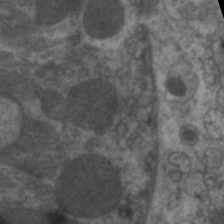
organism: C. elegans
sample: Pharynx